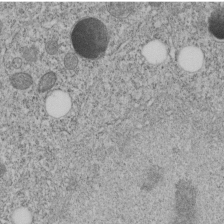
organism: C. elegans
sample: C. elegans embryo early stage